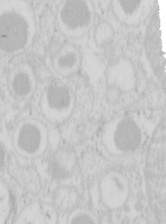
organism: Mouse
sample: Pancreas